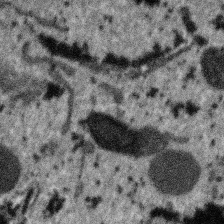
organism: Human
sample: Lung epithelial cells infected with SARS-CoV-2